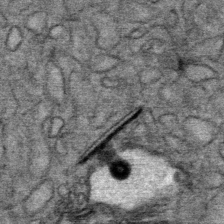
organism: Mouse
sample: Mouse Salivary gland